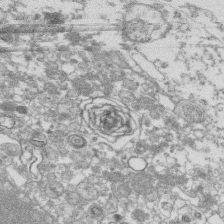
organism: Human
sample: HeLa cell HIV synapse